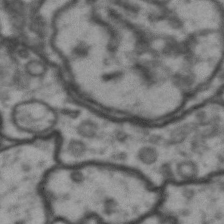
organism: Drosophila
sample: Brain